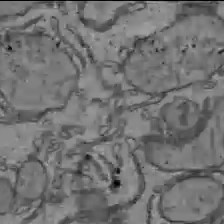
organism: C57BL Mouse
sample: Liver